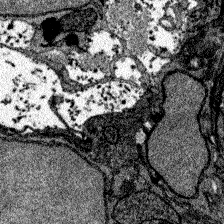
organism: Zebrafish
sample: Larval olfactory bulb